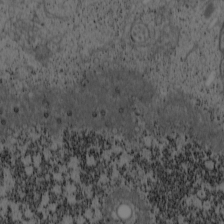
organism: African green monkey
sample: COS-7 cells